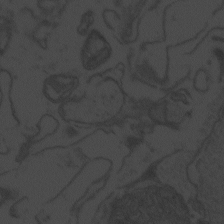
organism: Zebrafish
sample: Macrophage infected with Toxoplasma gondii